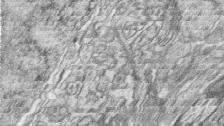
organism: Zebrafish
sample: synaptic ribbons in rod cells and cone cells